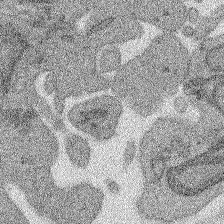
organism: Human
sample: HeLa cells